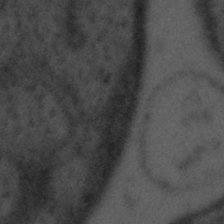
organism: Tuwongella immobilis